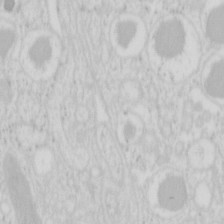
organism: Mouse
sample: Pancreas